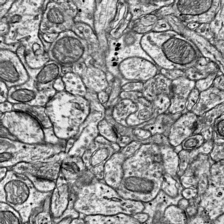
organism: Mouse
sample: Visual Cortex